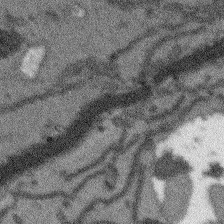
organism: Arabidopsis thaliana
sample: Root tip